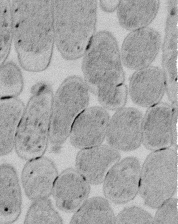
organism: E. coli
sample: Bacterial nucleoid